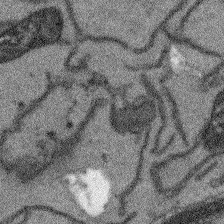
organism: Arabidopsis thaliana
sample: Root tip